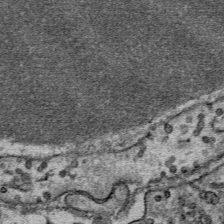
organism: Mouse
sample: Mouse Salivary gland